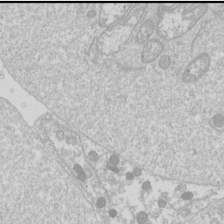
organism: Drosophila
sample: Cell division; meiosis; drosophila spermatocytes